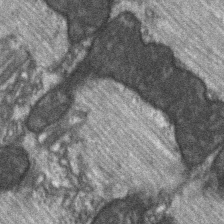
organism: C57BL Mouse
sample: Soleus